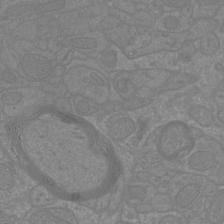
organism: Mouse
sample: Cortical neurons